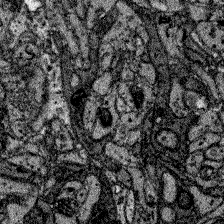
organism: Zebrafish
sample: Larval olfactory bulb